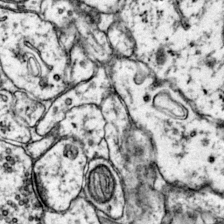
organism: Mouse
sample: Primary visual cortex